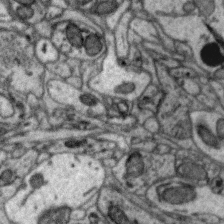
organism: Zebra finch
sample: Brain